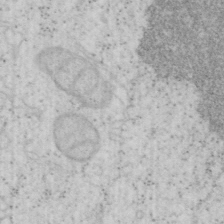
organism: Human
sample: HeLa cells